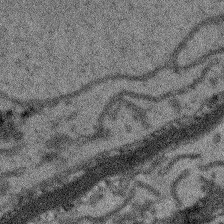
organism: Arabidopsis thaliana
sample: Root tip